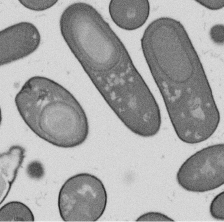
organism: B. subtilis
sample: Bacterial spore